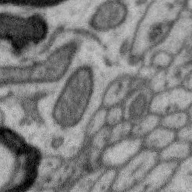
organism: Zebra finch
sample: Brain